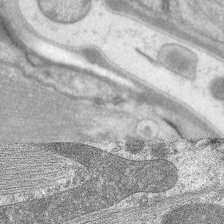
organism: C. elegans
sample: Pharynx